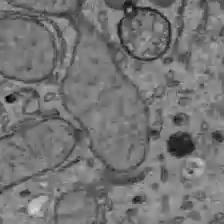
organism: C57BL Mouse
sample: Liver